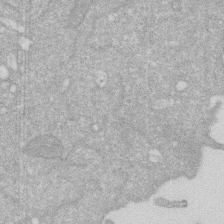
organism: Human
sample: HIV infected U937 cells